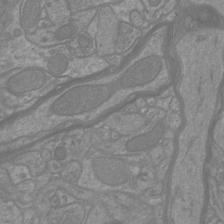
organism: Mouse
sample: Cortical neurons